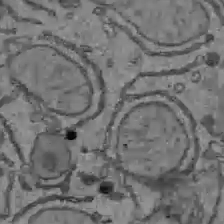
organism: C57BL Mouse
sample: Liver